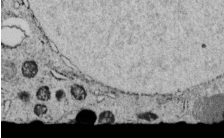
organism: C. elegans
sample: C. elegans embryo early stage